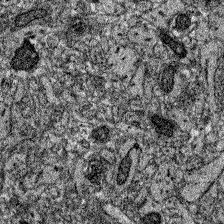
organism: Zebrafish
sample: Larval olfactory bulb